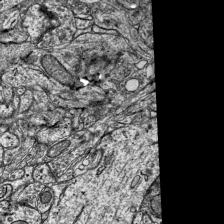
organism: Mouse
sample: Visual Cortex